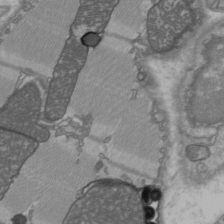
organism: C57BL Mouse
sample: Heart